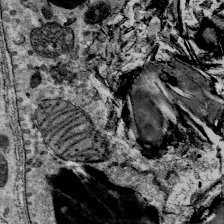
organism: Mouse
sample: Mouse Salivary gland